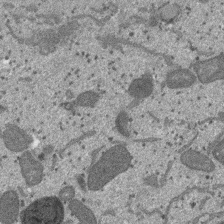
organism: Human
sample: Lung epithelial cells infected with SARS-CoV-2